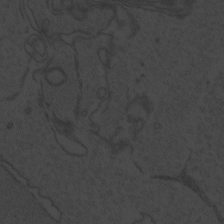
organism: Zebrafish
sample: Macrophage infected with Toxoplasma gondii